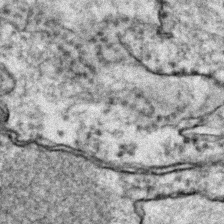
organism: Zebrafish